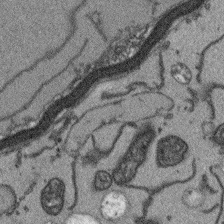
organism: Arabidopsis thaliana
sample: Root tip